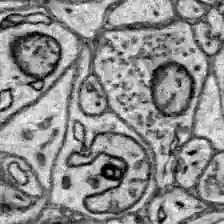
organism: Zebrafish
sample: Brain